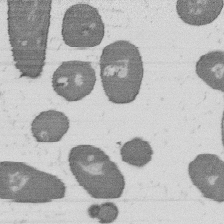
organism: B. subtilis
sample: Bacterial spore